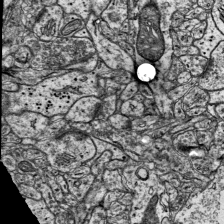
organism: Mouse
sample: Visual Cortex